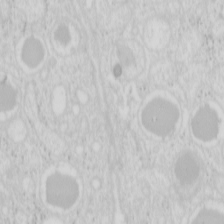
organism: Mouse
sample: Pancreas